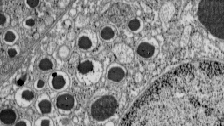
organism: C57BL Mouse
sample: Pancreatic islet